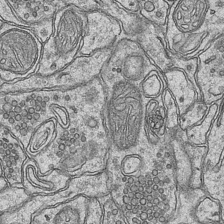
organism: Mouse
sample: CA1 Hippocampus